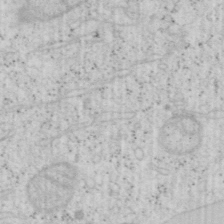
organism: Human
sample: HeLa cells